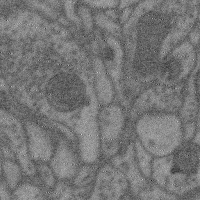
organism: Mouse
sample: Cerebral cortex